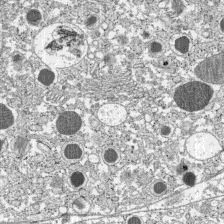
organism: C57BL Mouse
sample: Pancreatic islet